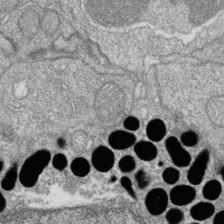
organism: Zebrafish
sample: Cilia; retinal pigment epithelium